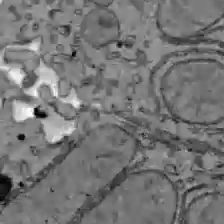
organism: C57BL Mouse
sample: Liver